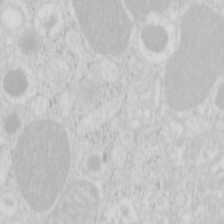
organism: Mouse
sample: Pancreas